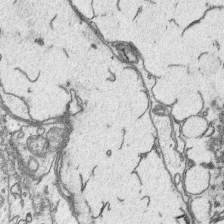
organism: Platynereis dumerilii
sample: Parapodia